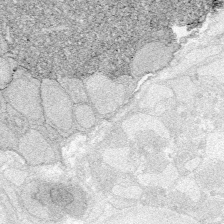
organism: Zebrafish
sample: Whole-Brain